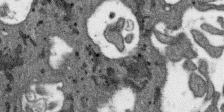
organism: Human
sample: Lung epithelial cells, uninfected (mock) control